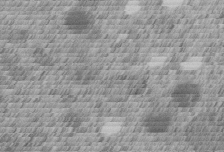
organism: C. elegans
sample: C. elegans embryo early stage